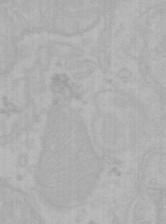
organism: Mouse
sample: Choroid plexus